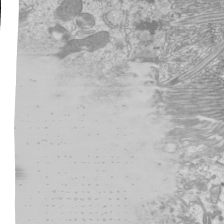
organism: Mouse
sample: Cilia; mouse epididymis